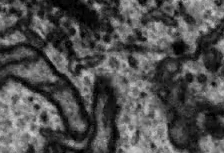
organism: Human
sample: HeLa cells